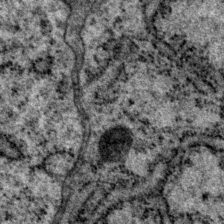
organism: P. pacificus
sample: Pharynx